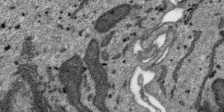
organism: Human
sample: Lung epithelial cells, uninfected (mock) control